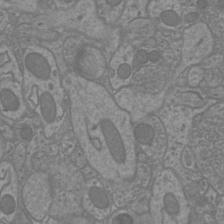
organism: Mouse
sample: Cortical neurons